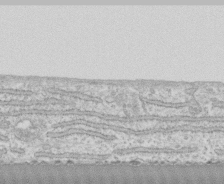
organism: Human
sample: CRL-1474